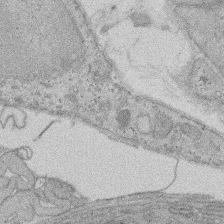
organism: Rat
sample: Salivary granule